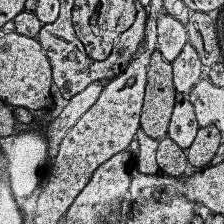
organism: Human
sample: Temporal Lobe